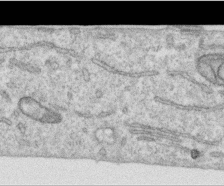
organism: Human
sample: Centriole in RPE cells